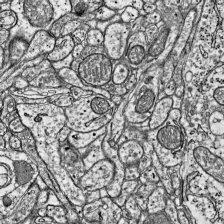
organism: Mouse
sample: Visual Cortex